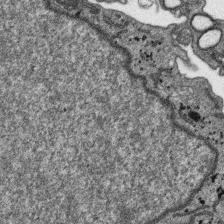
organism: Human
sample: Lung epithelial cells infected with SARS-CoV-2